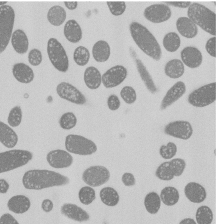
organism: E. coli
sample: Bacterial nucleoid